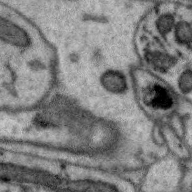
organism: Zebra finch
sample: Brain